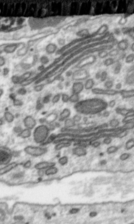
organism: Toxoplasma gondii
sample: Parasites in a vacuole inside a host cell